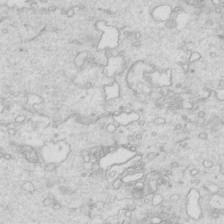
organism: Mouse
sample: Multiciliated cells